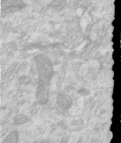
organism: Human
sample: Centriole in RPE cells